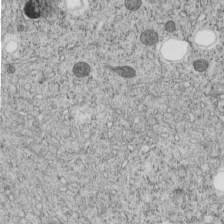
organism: C. elegans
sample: C. elegans embryo early stage